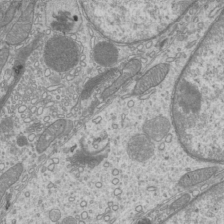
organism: Mouse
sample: Cilia; mouse epididymis